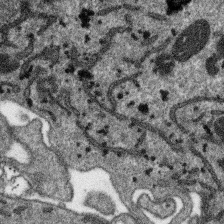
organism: Human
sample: Lung epithelial cells infected with SARS-CoV-2